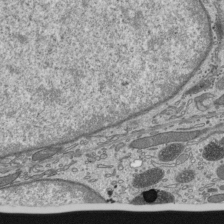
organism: Mouse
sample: Mouse epididymis efferent ductule cilia